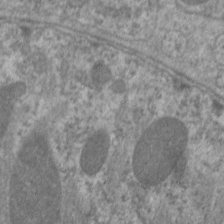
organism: C. elegans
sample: Pharynx